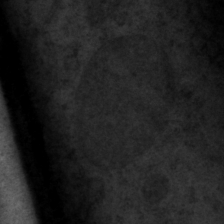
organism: P. pacificus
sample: Pharynx